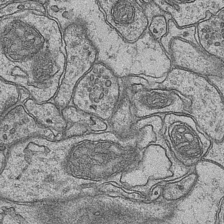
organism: Mouse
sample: CA1 Hippocampus